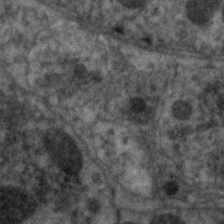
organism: C. elegans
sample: Pharynx